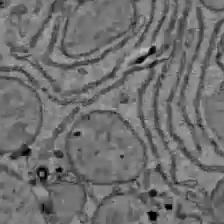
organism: C57BL Mouse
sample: Liver